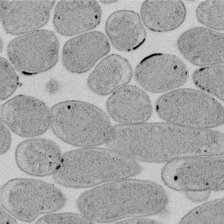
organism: E. coli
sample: Bacterial nucleoid